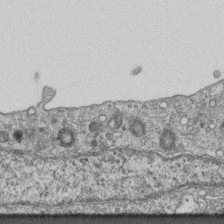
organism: Mouse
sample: Centriole in ependymal cells